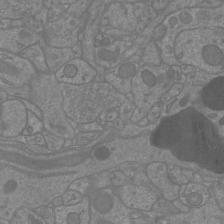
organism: Mouse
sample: Cortical neurons